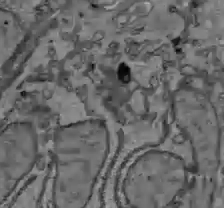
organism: C57BL Mouse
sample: Liver